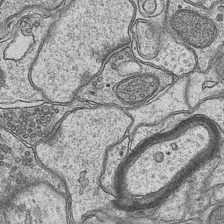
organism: Mouse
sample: CA1 Hippocampus